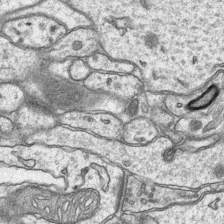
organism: Mouse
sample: CA1 Hippocampus